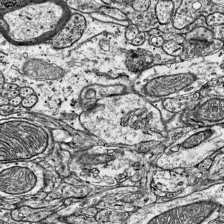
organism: Mouse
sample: Visual Cortex